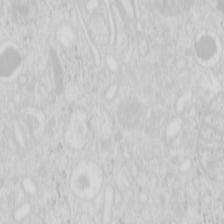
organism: Mouse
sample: Pancreas